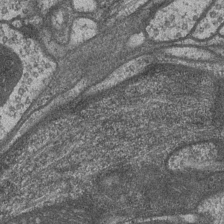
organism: Drosophila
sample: Optic medulla